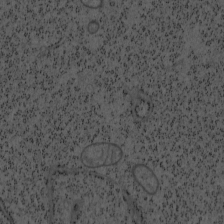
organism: Mouse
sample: OT-I killer T cells with ID8 ovarian cancer cells